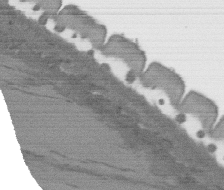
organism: C. elegans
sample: AFD neurons C. elegans